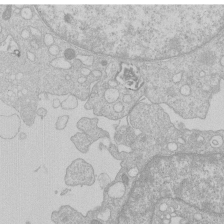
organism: Human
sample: Macrophage cells